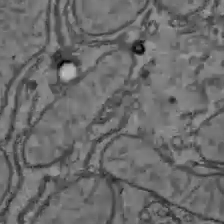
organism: C57BL Mouse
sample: Liver